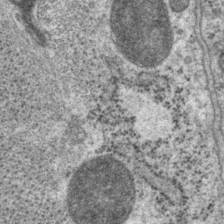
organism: P. pacificus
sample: Pharynx